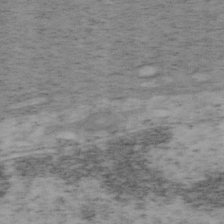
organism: Mouse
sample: OT-I killer T cells with ID8 ovarian cancer cells